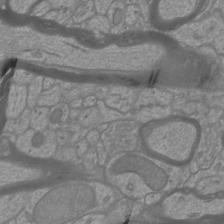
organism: Mouse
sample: Cortical neurons